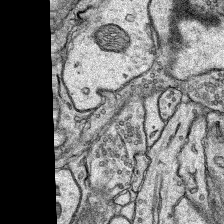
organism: Rat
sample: Hippocampus